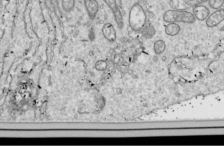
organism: Drosophila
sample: Cell division; meiosis; drosophila spermatocytes